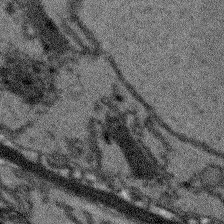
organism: Arabidopsis thaliana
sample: Root tip